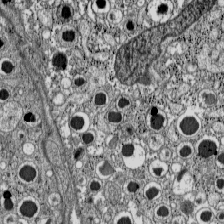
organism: C57BL Mouse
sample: Pancreatic islet